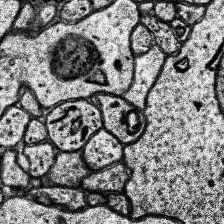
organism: Human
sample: Temporal Lobe